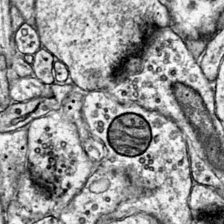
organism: Mouse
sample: Primary visual cortex